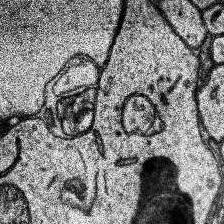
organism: Human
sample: Temporal Lobe